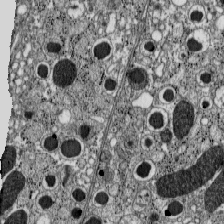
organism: C57BL Mouse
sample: Pancreatic islet